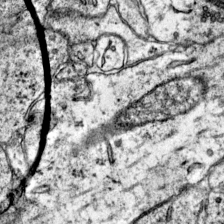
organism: Mouse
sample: Primary visual cortex